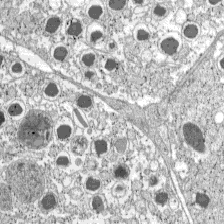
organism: C57BL Mouse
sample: Pancreatic islet